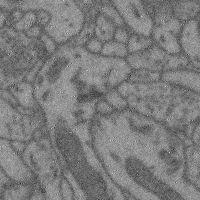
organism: Mouse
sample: Cerebral cortex